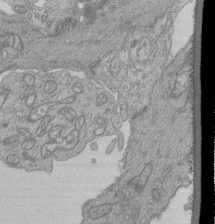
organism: Human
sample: Retinal organoid Rod and Cone cells